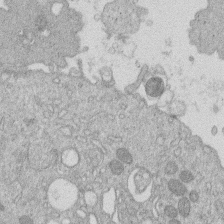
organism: Human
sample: Macrophage cells